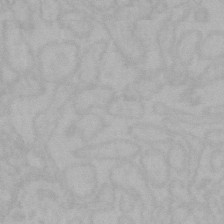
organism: Mouse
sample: Choroid plexus